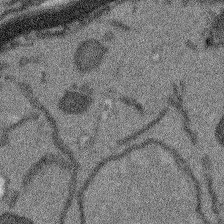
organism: Arabidopsis thaliana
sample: Root tip